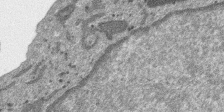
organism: Human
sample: Lung epithelial cells infected with SARS-CoV-2